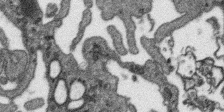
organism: Human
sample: Lung epithelial cells infected with SARS-CoV-2